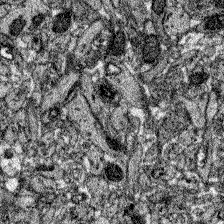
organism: Zebrafish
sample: Larval olfactory bulb